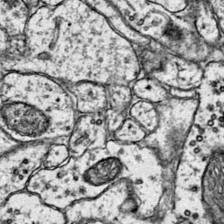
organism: Mouse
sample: Primary visual cortex